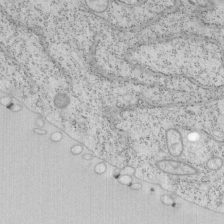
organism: Mouse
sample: OT-I killer T cells with ID8 ovarian cancer cells